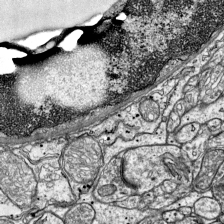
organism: Mouse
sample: Visual Cortex